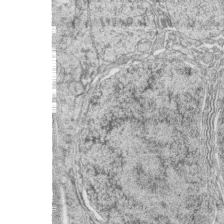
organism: Zebrafish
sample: synaptic ribbons in rod cells and cone cells